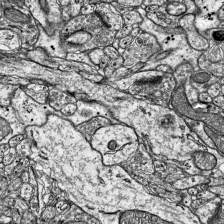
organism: Mouse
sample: Visual Cortex